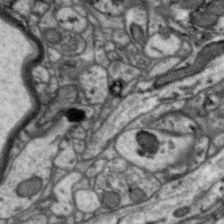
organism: Zebra finch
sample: Brain